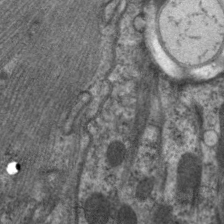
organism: C. elegans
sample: Pharynx